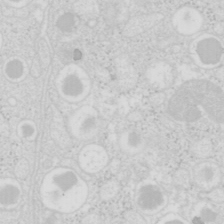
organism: Mouse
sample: Pancreas